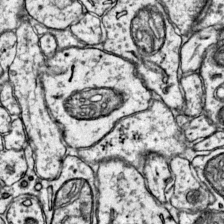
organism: Mouse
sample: Primary visual cortex